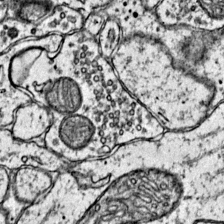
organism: Mouse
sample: Primary visual cortex